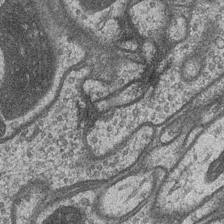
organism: Drosophila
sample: Optic medulla